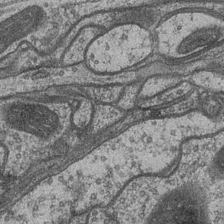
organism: Drosophila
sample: Optic medulla